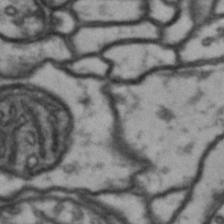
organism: Drosophila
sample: Brain